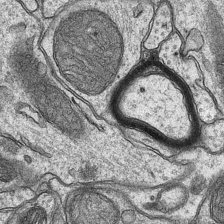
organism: Mouse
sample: CA1 Hippocampus